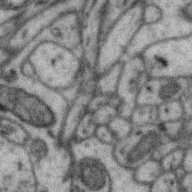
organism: Zebra finch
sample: Brain